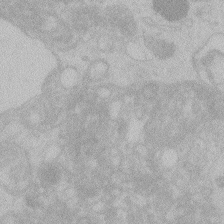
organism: Zebrafish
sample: Macrophage infected with Toxoplasma gondii